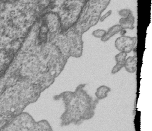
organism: Human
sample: MDA-MB-231 cells